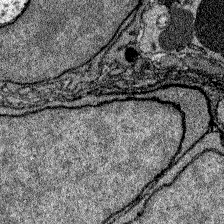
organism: Zebrafish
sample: Larval olfactory bulb